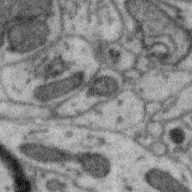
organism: Zebra finch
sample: Brain